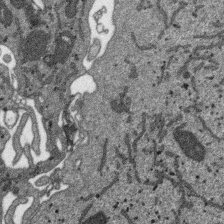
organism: Human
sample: Lung epithelial cells infected with SARS-CoV-2